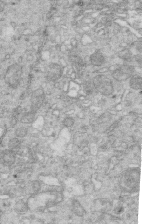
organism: Mouse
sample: Multiciliated cells